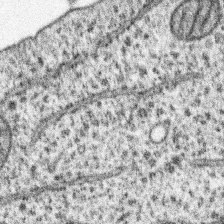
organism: Human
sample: HeLa cells